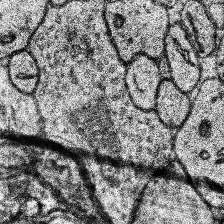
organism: Human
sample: Temporal Lobe